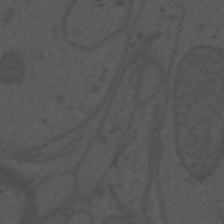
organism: Mouse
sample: Suprachiasmatic nucleus